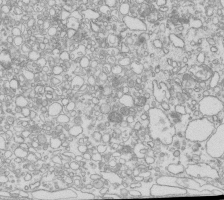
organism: Mouse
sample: Macrophages